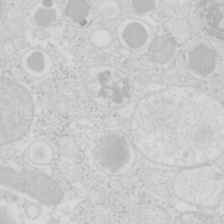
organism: Mouse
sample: Pancreas